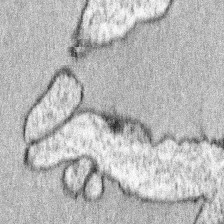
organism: Human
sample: HeLa cells